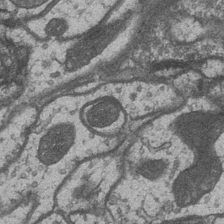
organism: Drosophila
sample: Optic medulla